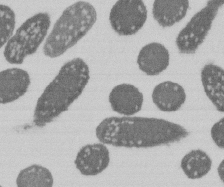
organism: E. coli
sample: Bacterial nucleoid